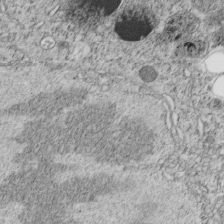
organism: C. elegans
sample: C. elegans embryo early stage